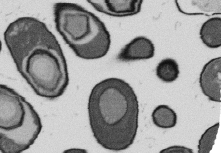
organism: B. subtilis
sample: Bacterial spore